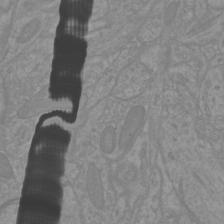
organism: Mouse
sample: Cortical neurons